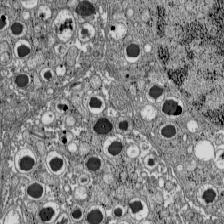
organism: C57BL Mouse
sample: Pancreatic islet